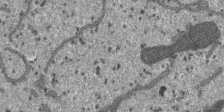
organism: Human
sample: Lung epithelial cells infected with SARS-CoV-2